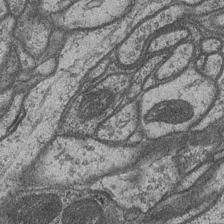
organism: Drosophila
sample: Optic medulla